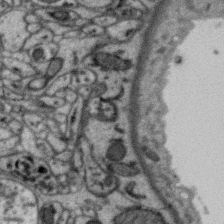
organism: Zebra finch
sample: Brain